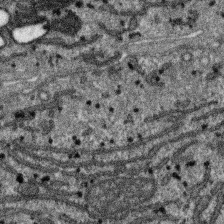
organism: Human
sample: Lung epithelial cells infected with SARS-CoV-2